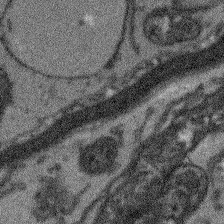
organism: Arabidopsis thaliana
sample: Root tip